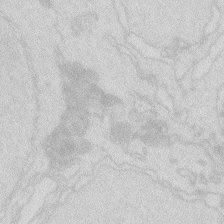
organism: Zebrafish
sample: Macrophage